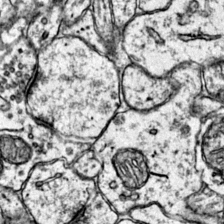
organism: Mouse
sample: Primary visual cortex